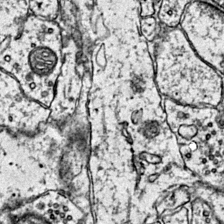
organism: Mouse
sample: Primary visual cortex